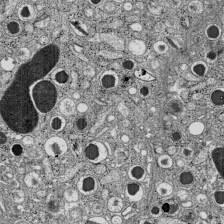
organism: C57BL Mouse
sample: Pancreatic islet